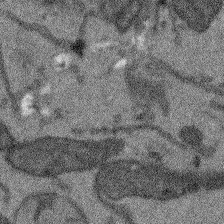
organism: Arabidopsis thaliana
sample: Root tip